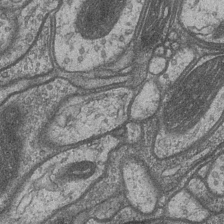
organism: Drosophila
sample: Optic medulla